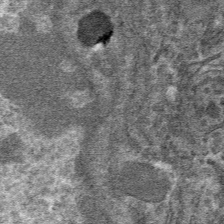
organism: Mouse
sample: Mouse hepatocytes